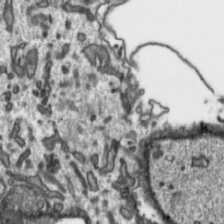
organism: Toxoplasma gondii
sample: Parasites in a vacuole inside a host cell